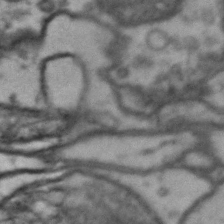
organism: Drosophila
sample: Brain